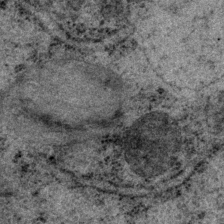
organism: P. pacificus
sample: Pharynx